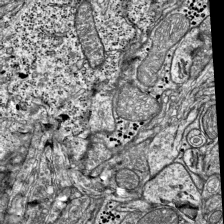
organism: Mouse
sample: Visual Cortex